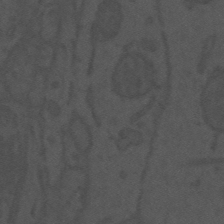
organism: Mouse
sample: Suprachiasmatic nucleus